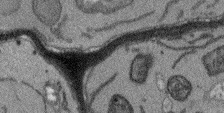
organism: Arabidopsis thaliana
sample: Root tip